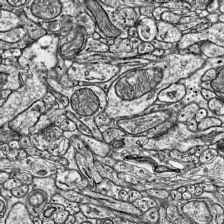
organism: Mouse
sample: Visual Cortex